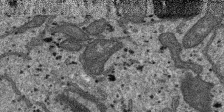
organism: Human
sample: Lung epithelial cells infected with SARS-CoV-2